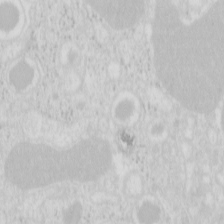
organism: Mouse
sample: Pancreas